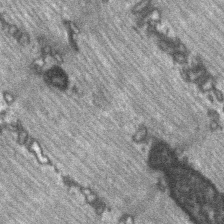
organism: C57BL Mouse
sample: Soleus